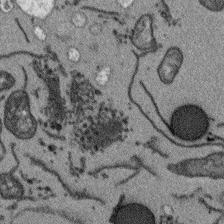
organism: Arabidopsis thaliana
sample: Root tip